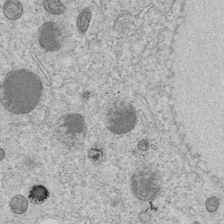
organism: C. elegans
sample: C. elegans embryo early stage